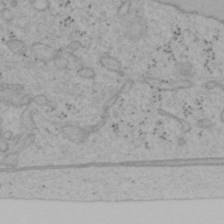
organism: Human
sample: HeLa cells